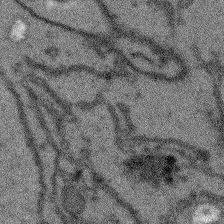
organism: Arabidopsis thaliana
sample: Root tip